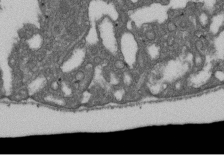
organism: Drosophila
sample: Nephrocyte